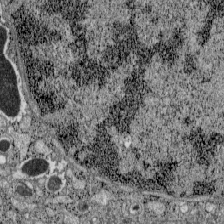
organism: C57BL Mouse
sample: Pancreatic islet